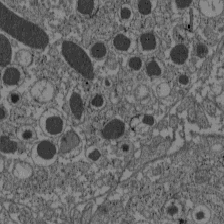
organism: C57BL Mouse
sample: Pancreatic islet